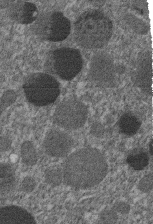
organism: C. elegans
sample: C. elegans embryo early stage